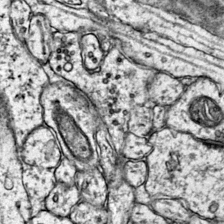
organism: Mouse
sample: Primary visual cortex